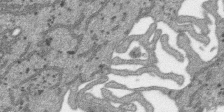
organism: Human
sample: Lung epithelial cells infected with SARS-CoV-2